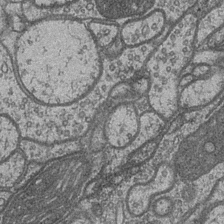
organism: Drosophila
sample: Optic medulla